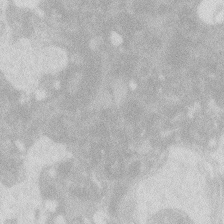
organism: Zebrafish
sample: Macrophage